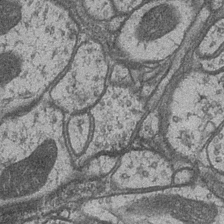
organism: Drosophila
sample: Optic medulla